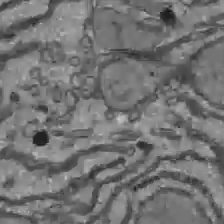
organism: C57BL Mouse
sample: Liver